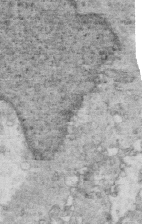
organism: Mouse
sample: Multiciliated cells